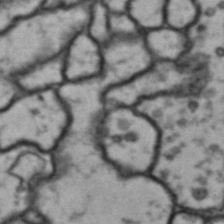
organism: Drosophila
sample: Brain